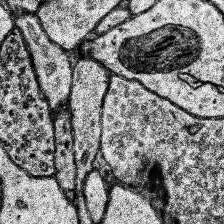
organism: Human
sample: Temporal Lobe